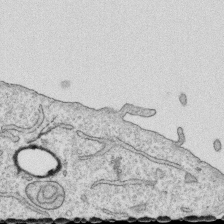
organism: Human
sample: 1205lu cells